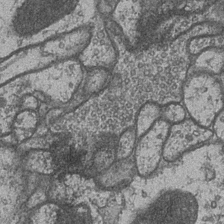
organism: Drosophila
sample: Optic medulla